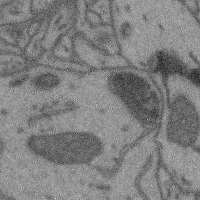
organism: Mouse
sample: Cerebral cortex